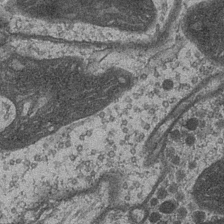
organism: Drosophila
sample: Optic medulla